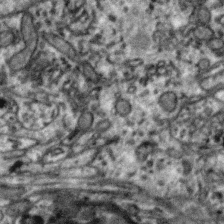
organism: Zebra finch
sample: Brain